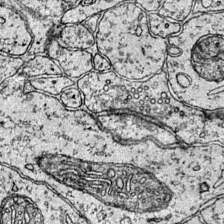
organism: Mouse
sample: Primary visual cortex